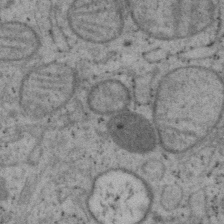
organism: Human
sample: HeLa cells